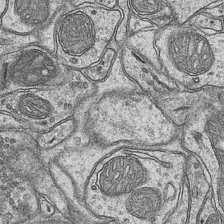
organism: Mouse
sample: CA1 Hippocampus